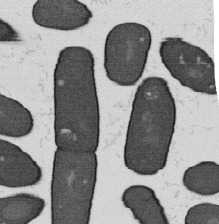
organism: B. subtilis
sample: Bacterial spore